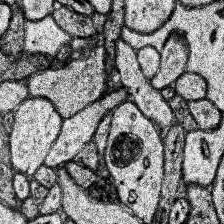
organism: Human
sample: Temporal Lobe